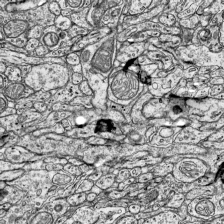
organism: Mouse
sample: Visual Cortex